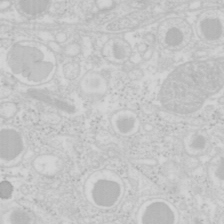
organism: Mouse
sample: Pancreas